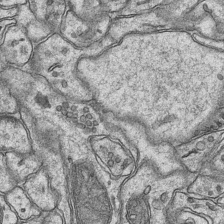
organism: Mouse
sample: CA1 Hippocampus